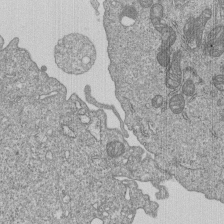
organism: Human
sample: MDA-MB-231 cells